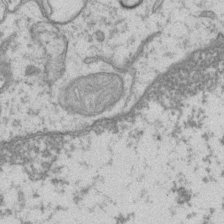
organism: Mouse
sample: CA1 Hippocampus